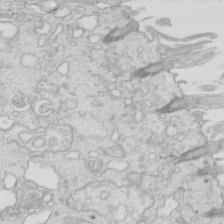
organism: Mouse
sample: Multiciliated cells